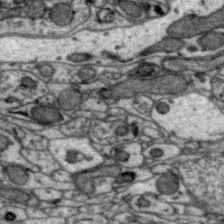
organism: Zebra finch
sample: Brain